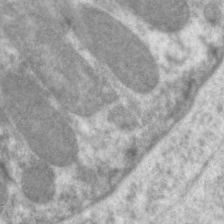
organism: C. elegans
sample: Pharynx